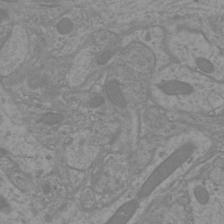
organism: Mouse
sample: Cortical neurons